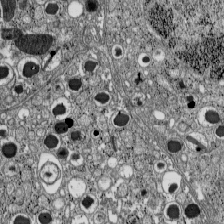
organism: C57BL Mouse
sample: Pancreatic islet